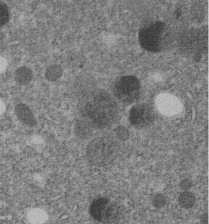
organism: C. elegans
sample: C. elegans embryo early stage